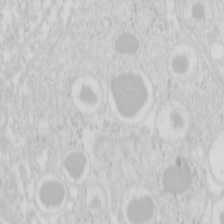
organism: Mouse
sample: Pancreas